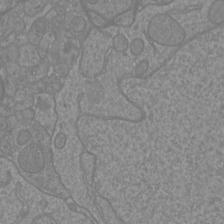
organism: Mouse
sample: Cortical neurons